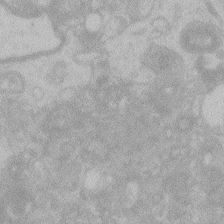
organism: Zebrafish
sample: Macrophage infected with Toxoplasma gondii